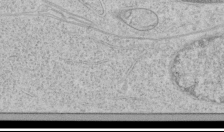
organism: Human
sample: Mitochondria in HCT116 cells